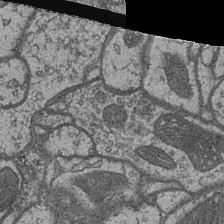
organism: Drosophila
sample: Optic medulla